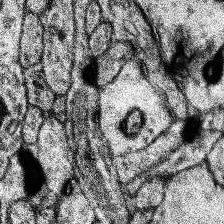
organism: Human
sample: Temporal Lobe